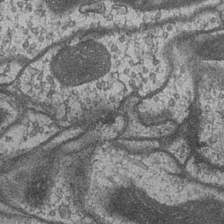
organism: Drosophila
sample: Optic medulla